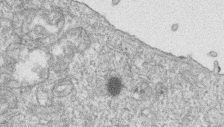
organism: Human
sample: HeLa cell HIV synapse